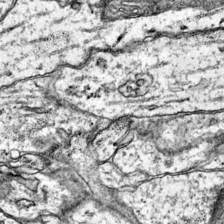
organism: Mouse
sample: Primary visual cortex